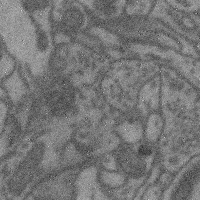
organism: Mouse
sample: Cerebral cortex